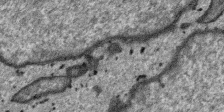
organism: Human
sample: Lung epithelial cells, uninfected (mock) control